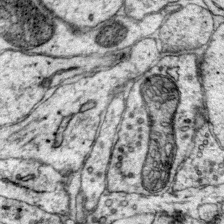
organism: Mouse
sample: Primary visual cortex